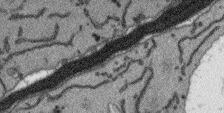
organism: Arabidopsis thaliana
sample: Root tip